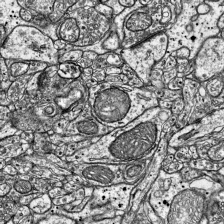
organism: Mouse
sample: Visual Cortex